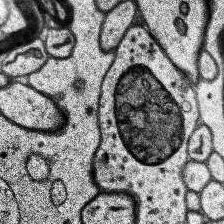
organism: Human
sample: Temporal Lobe